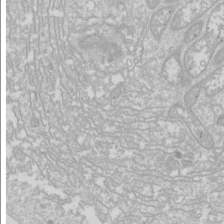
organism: Drosophila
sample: Cell division; meiosis; drosophila spermatocytes